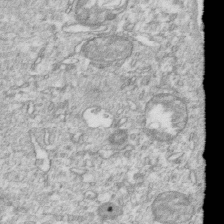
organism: Mouse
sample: Activated OT-1 CD8+ T cells